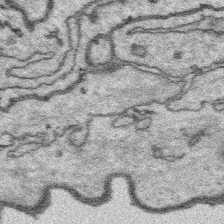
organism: Platynereis dumerilii